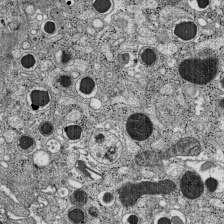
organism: C57BL Mouse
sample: Pancreatic islet